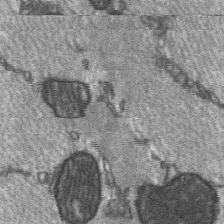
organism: C57BL Mouse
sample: Soleus